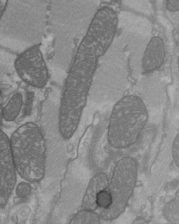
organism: C57BL Mouse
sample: Heart